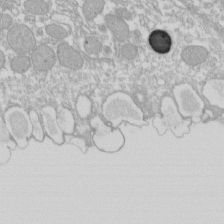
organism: Xenopus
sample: Cilia; centrioles in frog embryo cells